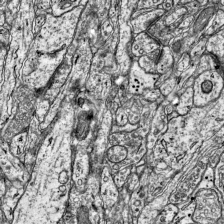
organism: Mouse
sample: Visual Cortex